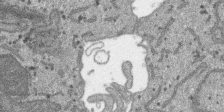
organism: Human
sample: Lung epithelial cells infected with SARS-CoV-2